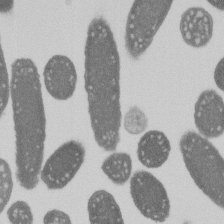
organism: E. coli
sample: Bacterial nucleoid